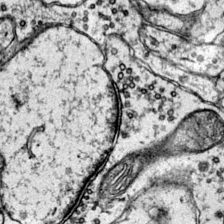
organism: Mouse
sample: Primary visual cortex